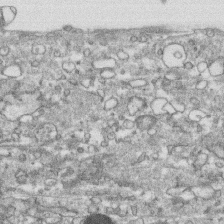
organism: Human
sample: CRL-1474